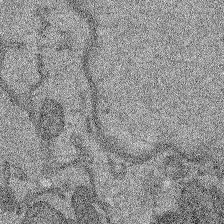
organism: Human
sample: HeLa cells